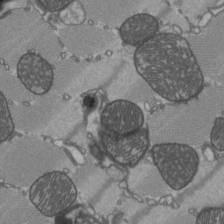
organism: C57BL Mouse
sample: Heart